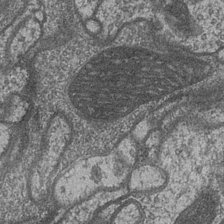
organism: Drosophila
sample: Optic medulla